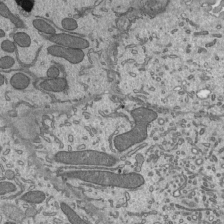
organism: Mouse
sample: Mouse epididymis efferent ductule cilia